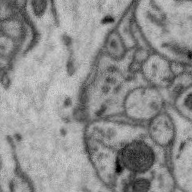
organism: Zebra finch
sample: Brain